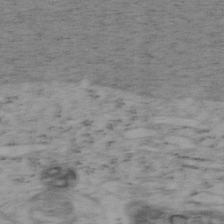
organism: Mouse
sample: OT-I killer T cells with ID8 ovarian cancer cells